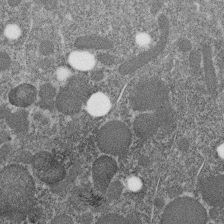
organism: C. elegans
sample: C. elegans embryo early stage